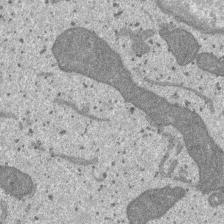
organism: Human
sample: Lung epithelial cells infected with SARS-CoV-2